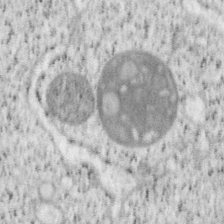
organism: Mouse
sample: OT-I killer T cells with ID8 ovarian cancer cells